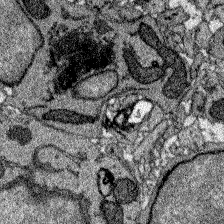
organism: Zebrafish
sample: Larval olfactory bulb